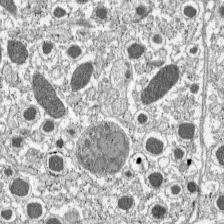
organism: C57BL Mouse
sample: Pancreatic islet